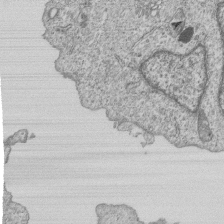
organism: Human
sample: MDA-MB-231 cells